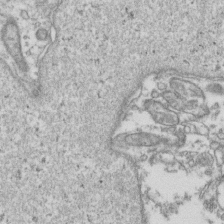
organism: Human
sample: Activated Jurkat CD4+ T cells